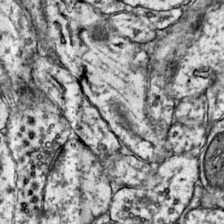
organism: Mouse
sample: Primary visual cortex